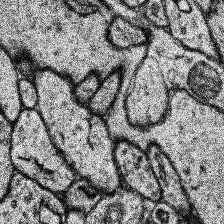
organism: Human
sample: Temporal Lobe